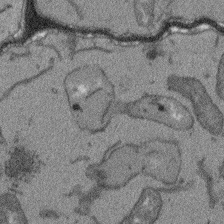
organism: Arabidopsis thaliana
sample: Root tip